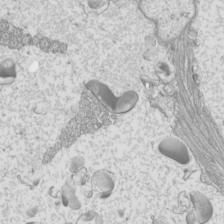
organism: Mouse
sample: Cilia; mouse epididymis